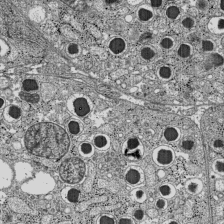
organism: C57BL Mouse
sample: Pancreatic islet